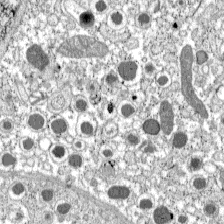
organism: C57BL Mouse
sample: Pancreatic islet